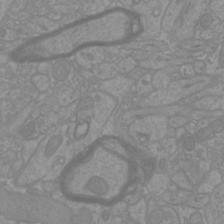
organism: Mouse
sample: Cortical neurons